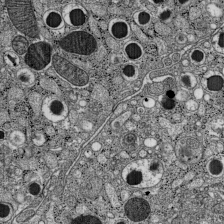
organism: C57BL Mouse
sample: Pancreatic islet